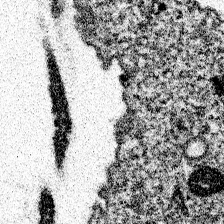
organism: Spongilla lacustris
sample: Neuroid cell